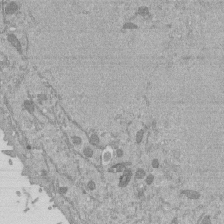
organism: Mouse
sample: ED-1 cell nuclei; centrioles